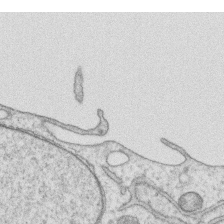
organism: Human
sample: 1205lu cells